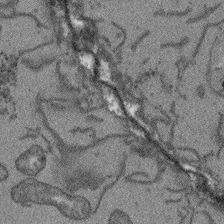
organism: Arabidopsis thaliana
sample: Root tip